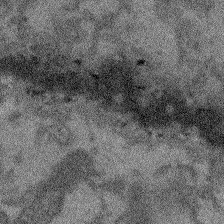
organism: Arabidopsis thaliana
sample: Root tip